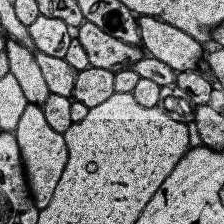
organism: Human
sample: Temporal Lobe